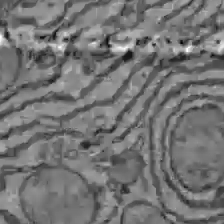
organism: C57BL Mouse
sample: Liver